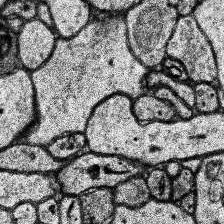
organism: Human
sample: Temporal Lobe